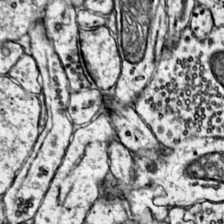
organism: Mouse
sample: Primary visual cortex